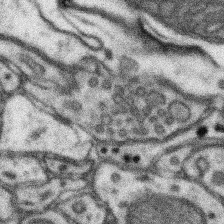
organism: Mouse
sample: Somatosensory cortex neuropil